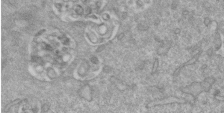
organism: Mouse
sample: ED-1 cell nuclei; centrioles